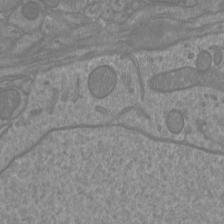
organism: Mouse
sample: Cortical neurons